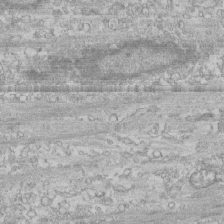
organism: Human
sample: CRL-1474